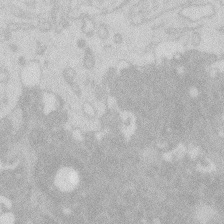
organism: Zebrafish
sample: Macrophage